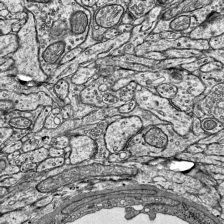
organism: Mouse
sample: Visual Cortex